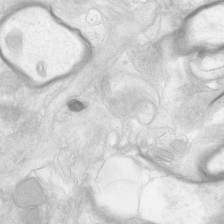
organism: Human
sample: Neocortex